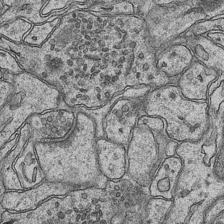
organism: Mouse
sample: CA1 Hippocampus